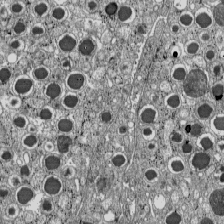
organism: C57BL Mouse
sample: Pancreatic islet